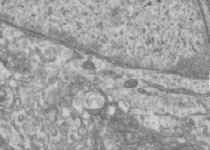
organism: Human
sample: Centriole in RPE cells